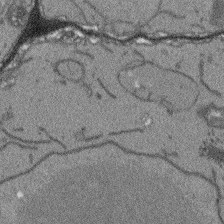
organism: Arabidopsis thaliana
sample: Root tip